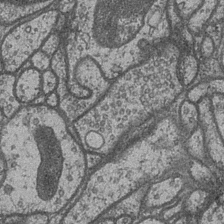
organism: Drosophila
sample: Optic medulla